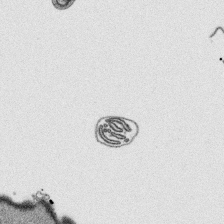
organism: Platynereis dumerilii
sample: Parapodia